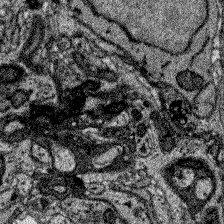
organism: Zebrafish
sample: Larval olfactory bulb